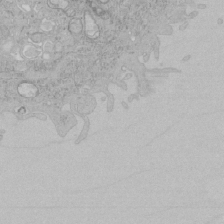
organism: Human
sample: Mitochondria in HCT116 cells